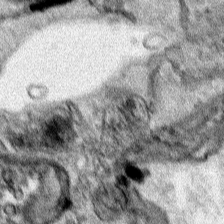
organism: Human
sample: Mitochondria in HCT116 cells